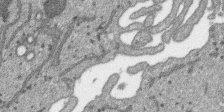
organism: Human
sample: Lung epithelial cells infected with SARS-CoV-2